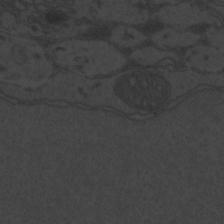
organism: Zebrafish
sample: Macrophage infected with Toxoplasma gondii